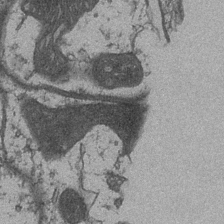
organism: Drosophila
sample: Optic medulla